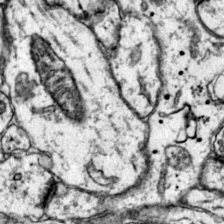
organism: Mouse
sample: Primary visual cortex